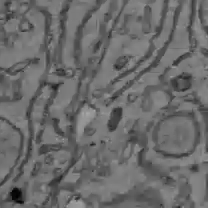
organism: C57BL Mouse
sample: Liver